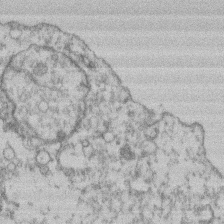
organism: Mouse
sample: T cell stromal cell synapse